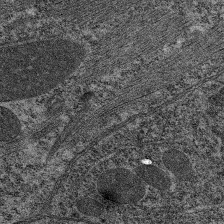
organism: C. elegans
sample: Pharynx